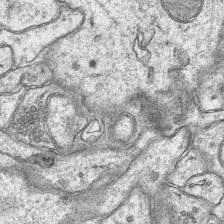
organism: Mouse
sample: CA1 Hippocampus